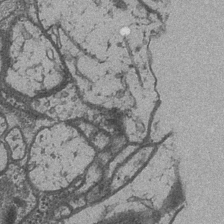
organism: Drosophila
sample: Optic medulla